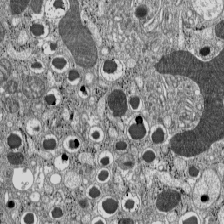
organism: C57BL Mouse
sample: Pancreatic islet